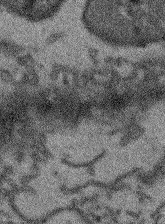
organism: Arabidopsis thaliana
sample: Root tip